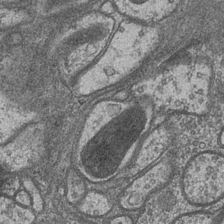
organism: Drosophila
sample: Optic medulla